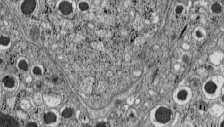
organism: C57BL Mouse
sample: Pancreatic islet